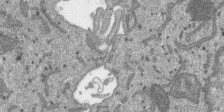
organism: Human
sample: Lung epithelial cells infected with SARS-CoV-2